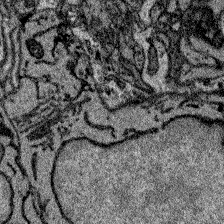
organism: Zebrafish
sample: Larval olfactory bulb